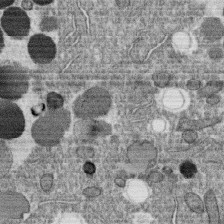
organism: C. elegans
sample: C. elegans oocyte; sperm cells